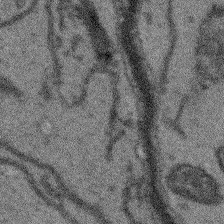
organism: Arabidopsis thaliana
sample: Root tip